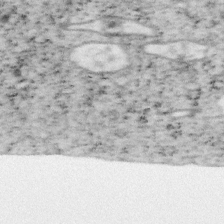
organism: Mouse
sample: OT-I killer T cells with ID8 ovarian cancer cells